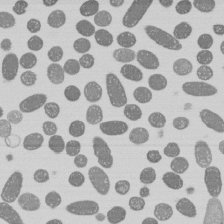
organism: E. coli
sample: Bacterial nucleoid